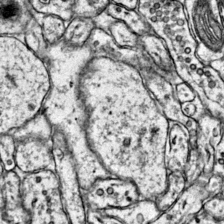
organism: Mouse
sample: Primary visual cortex